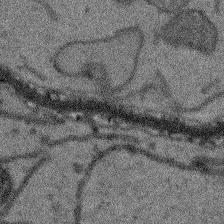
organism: Arabidopsis thaliana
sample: Root tip